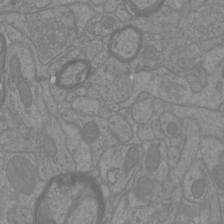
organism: Mouse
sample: Cortical neurons